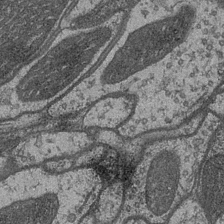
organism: Drosophila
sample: Optic medulla